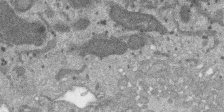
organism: Human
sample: Lung epithelial cells infected with SARS-CoV-2